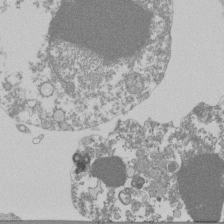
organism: Mouse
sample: Activated Pmel transgenic CD8+ T Cells